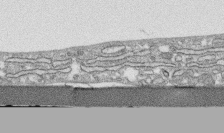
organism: Human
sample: CRL-1474